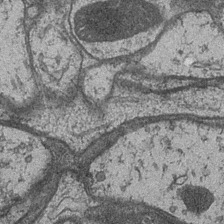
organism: Drosophila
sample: Optic medulla